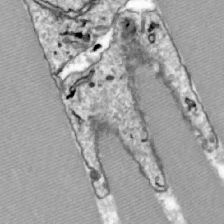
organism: Zebrafish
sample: Actinotrichia fibers